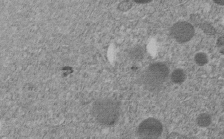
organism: C. elegans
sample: C. elegans embryo early stage